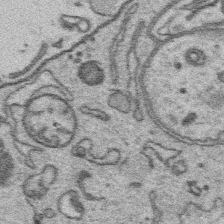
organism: Platynereis dumerilii